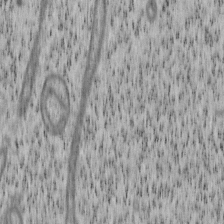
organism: Human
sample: HeLa cells